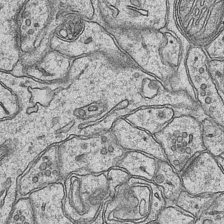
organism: Mouse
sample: CA1 Hippocampus